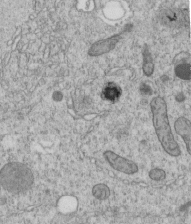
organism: C. elegans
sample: C. elegans embryo early stage